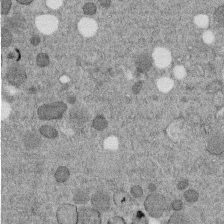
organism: C. elegans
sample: C. elegans embryo early stage